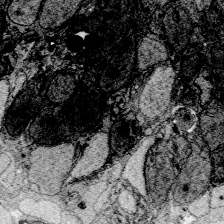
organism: Zebrafish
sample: Whole-Brain